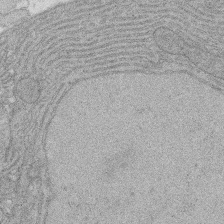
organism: Rat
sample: Salivary granule